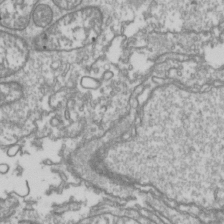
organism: Drosophila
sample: Cell division; meiosis; drosophila spermatocytes